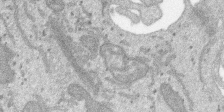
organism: Human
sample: Lung epithelial cells infected with SARS-CoV-2